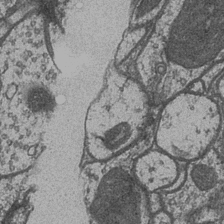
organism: Drosophila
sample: Optic medulla